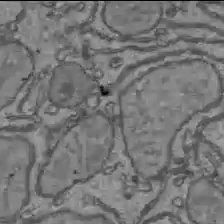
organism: C57BL Mouse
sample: Liver